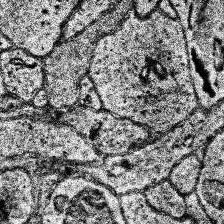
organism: Human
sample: Temporal Lobe